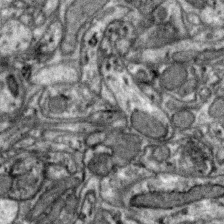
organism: Zebra finch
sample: Brain